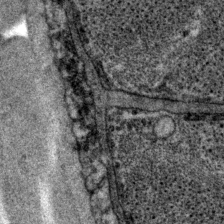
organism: P. pacificus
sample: Pharynx